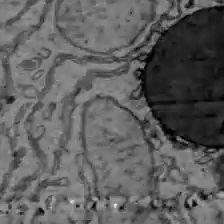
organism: C57BL Mouse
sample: Liver